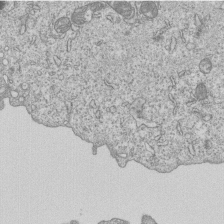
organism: Human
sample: MDA-MB-231 cells